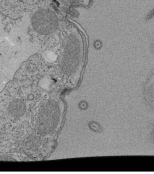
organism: Tetrahymena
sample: Cilia in tetrahymena